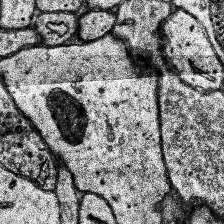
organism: Human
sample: Temporal Lobe